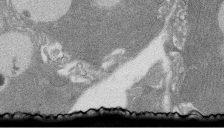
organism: Rat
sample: Salivary granule